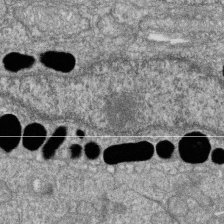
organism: Zebrafish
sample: Cilia; retinal pigment epithelium